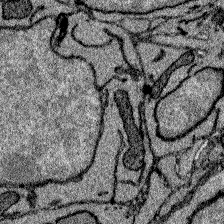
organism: Zebrafish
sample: Larval olfactory bulb